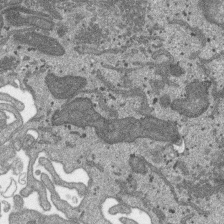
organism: Human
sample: Lung epithelial cells infected with SARS-CoV-2